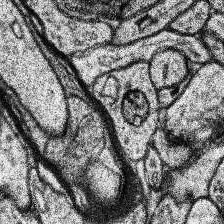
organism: Human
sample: Temporal Lobe